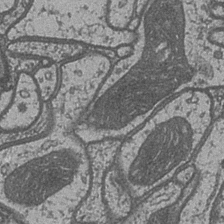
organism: Drosophila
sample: Optic medulla